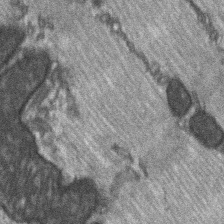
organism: C57BL Mouse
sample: Soleus